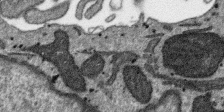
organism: Human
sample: Lung epithelial cells, uninfected (mock) control